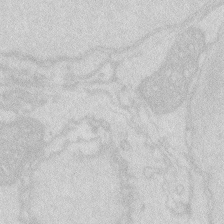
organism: Zebrafish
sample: Macrophage